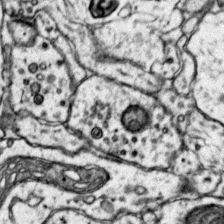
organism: Mouse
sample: Primary visual cortex